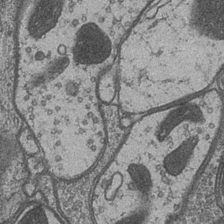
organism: Drosophila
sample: Optic medulla